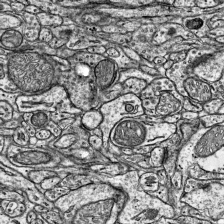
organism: Mouse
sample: Visual Cortex